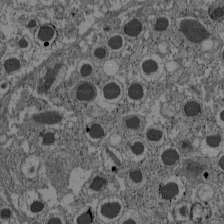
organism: C57BL Mouse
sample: Pancreatic islet